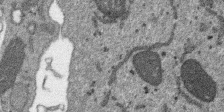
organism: Human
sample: Lung epithelial cells infected with SARS-CoV-2